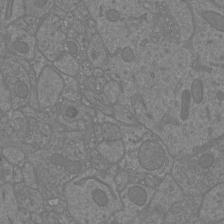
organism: Mouse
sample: Cortical neurons